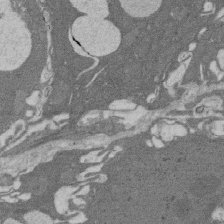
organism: Rat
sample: Salivary granule